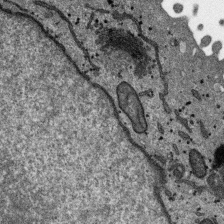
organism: Human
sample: Lung epithelial cells, uninfected (mock) control